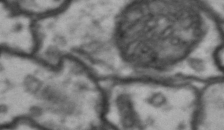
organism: Drosophila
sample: Brain